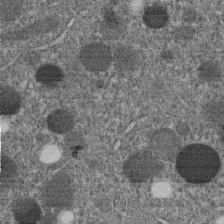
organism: C. elegans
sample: C. elegans embryo early stage